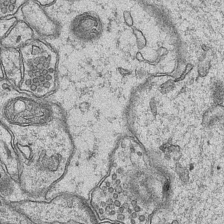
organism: Mouse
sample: CA1 Hippocampus